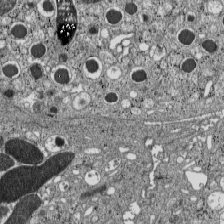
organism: C57BL Mouse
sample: Pancreatic islet